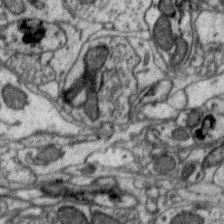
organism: Zebra finch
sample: Brain